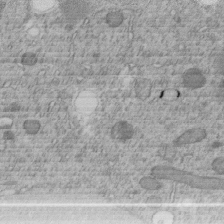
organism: C. elegans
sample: C. elegans embryo early stage